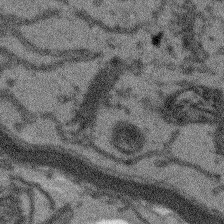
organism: Arabidopsis thaliana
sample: Root tip